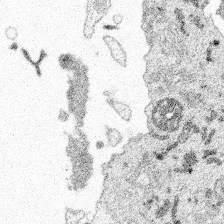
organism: Spongilla lacustris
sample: Multiple